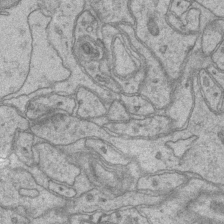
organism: Mouse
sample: CA1 Hippocampus